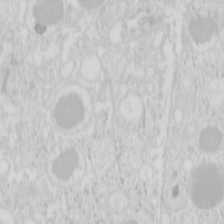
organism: Mouse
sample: Pancreas